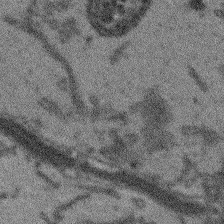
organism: Arabidopsis thaliana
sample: Root tip